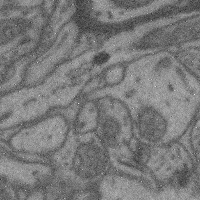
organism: Mouse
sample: Cerebral cortex